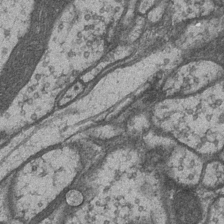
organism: Drosophila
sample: Optic medulla